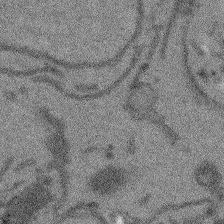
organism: Arabidopsis thaliana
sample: Root tip